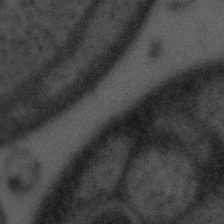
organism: Tuwongella immobilis